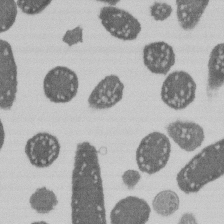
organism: E. coli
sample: Bacterial nucleoid